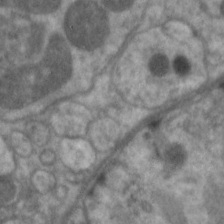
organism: C. elegans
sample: Pharynx